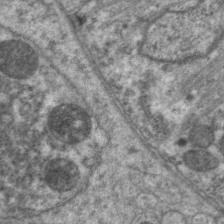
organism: C. elegans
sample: Pharynx